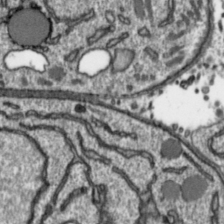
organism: Toxoplasma gondii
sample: Parasites in a vacuole inside a host cell